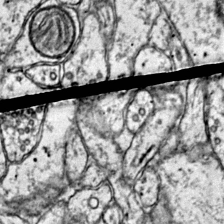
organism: Mouse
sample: Primary visual cortex